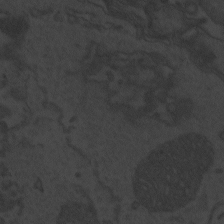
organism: Zebrafish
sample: Macrophage infected with Toxoplasma gondii